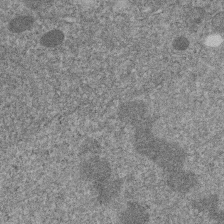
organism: C. elegans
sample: C. elegans embryo early stage